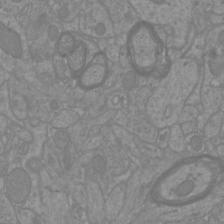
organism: Mouse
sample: Cortical neurons